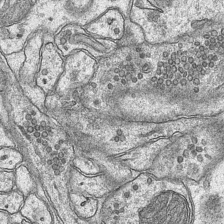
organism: Mouse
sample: CA1 Hippocampus